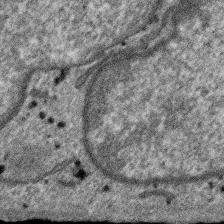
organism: Human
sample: Lung epithelial cells infected with SARS-CoV-2